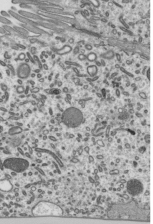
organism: Mouse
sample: Mouse epididymis efferent ductule cilia